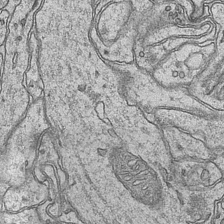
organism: Mouse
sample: CA1 Hippocampus